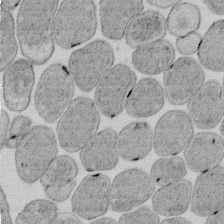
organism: E. coli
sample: Bacterial nucleoid